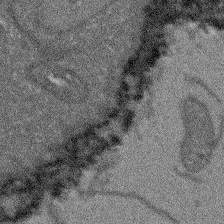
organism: Arabidopsis thaliana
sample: Root tip